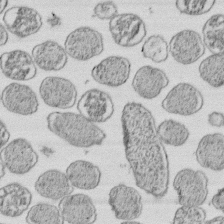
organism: E. coli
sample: Bacterial nucleoid